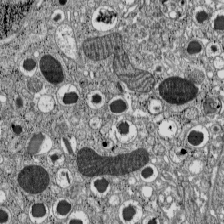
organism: C57BL Mouse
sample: Pancreatic islet